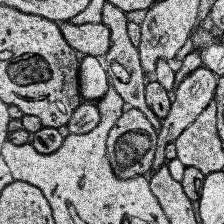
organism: Human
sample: Temporal Lobe